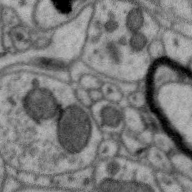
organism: Zebra finch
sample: Brain